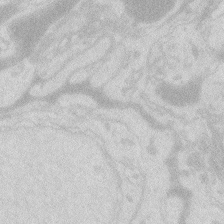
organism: Zebrafish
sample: Macrophage